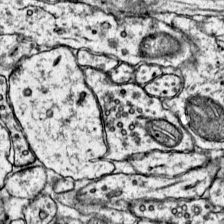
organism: Mouse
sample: Primary visual cortex